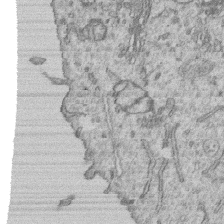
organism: Human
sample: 1205lu cells